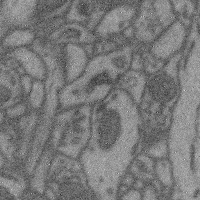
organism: Mouse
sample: Cerebral cortex